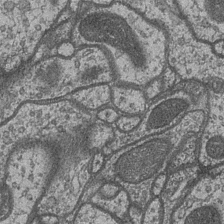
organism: Drosophila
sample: Optic medulla